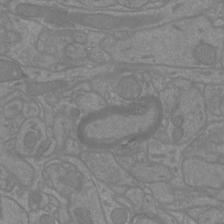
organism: Mouse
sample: Cortical neurons